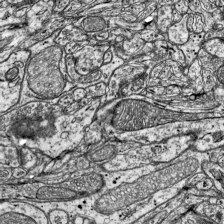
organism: Mouse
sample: Visual Cortex